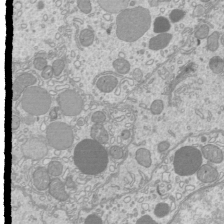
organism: Mouse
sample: Cilia; mouse epididymis